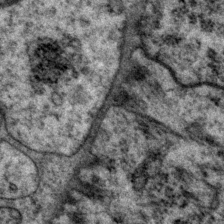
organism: P. pacificus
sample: Pharynx